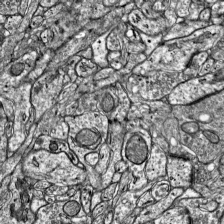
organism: Mouse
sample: Visual Cortex